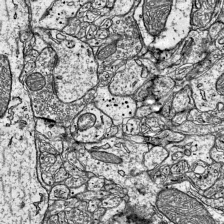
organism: Mouse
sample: Visual Cortex